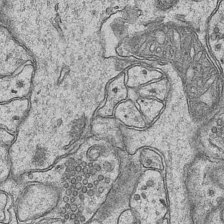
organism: Mouse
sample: CA1 Hippocampus